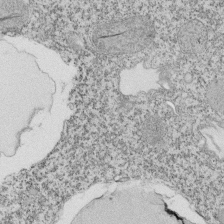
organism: Tetrahymena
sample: Cilia in tetrahymena